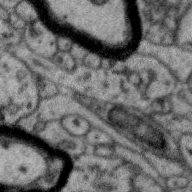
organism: Zebra finch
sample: Brain